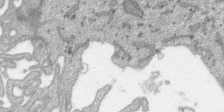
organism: Human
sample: Lung epithelial cells infected with SARS-CoV-2